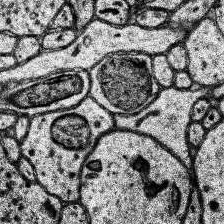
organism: Human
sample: Temporal Lobe